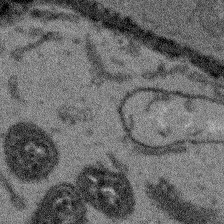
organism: Arabidopsis thaliana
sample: Root tip